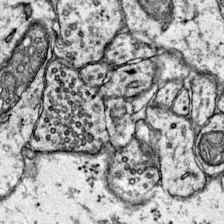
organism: Mouse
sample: Primary visual cortex